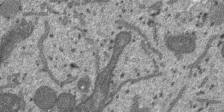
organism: Human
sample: Lung epithelial cells infected with SARS-CoV-2